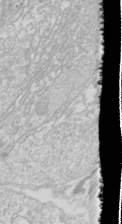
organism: Drosophila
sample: Cell division; meiosis; drosophila spermatocytes